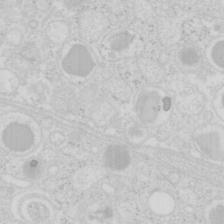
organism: Mouse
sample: Pancreas